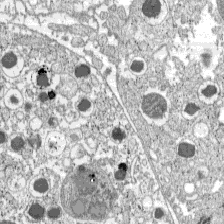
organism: C57BL Mouse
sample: Pancreatic islet